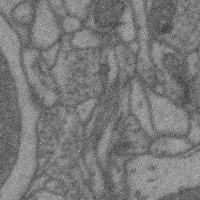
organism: Mouse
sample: Cerebral cortex